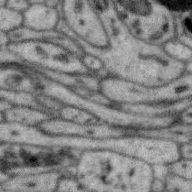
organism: Zebra finch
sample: Brain